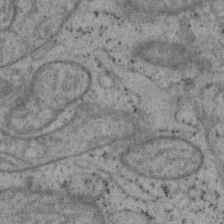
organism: Human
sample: HeLa cells